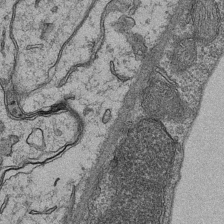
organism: Mouse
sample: CA1 Hippocampus